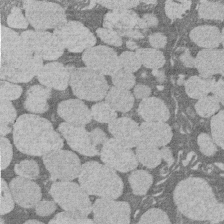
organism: Rat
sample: Salivary granule